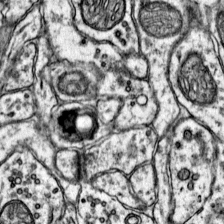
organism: Mouse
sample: Primary visual cortex